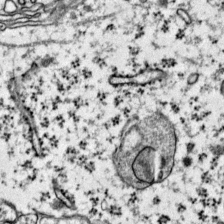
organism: Mouse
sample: Primary visual cortex